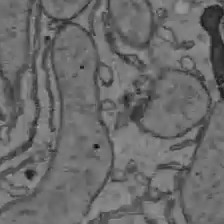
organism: C57BL Mouse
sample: Liver